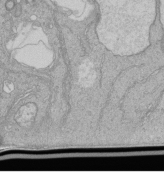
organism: Human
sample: Retinal organoid Rod and Cone cells